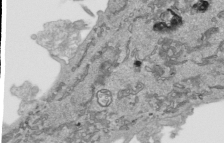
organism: Human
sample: Mitochondria in HCT116 cells